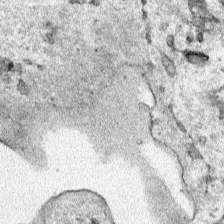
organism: Human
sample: Mitochondria in HCT116 cells